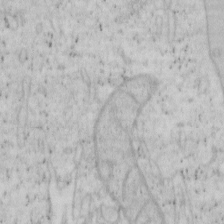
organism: Human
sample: HeLa cells